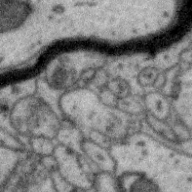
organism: Zebra finch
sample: Brain